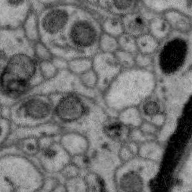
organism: Zebra finch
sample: Brain